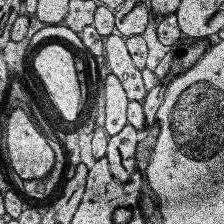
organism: Human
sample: Temporal Lobe